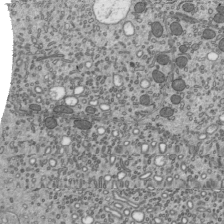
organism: Mouse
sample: Mouse epididymis efferent ductule cilia